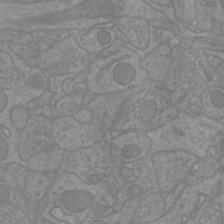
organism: Mouse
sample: Cortical neurons